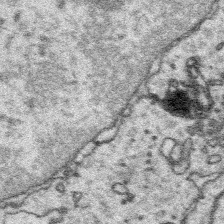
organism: Platynereis dumerilii